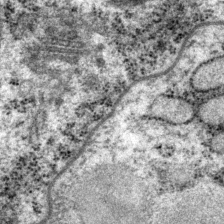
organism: P. pacificus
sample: Pharynx